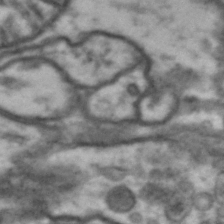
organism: Drosophila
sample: Brain